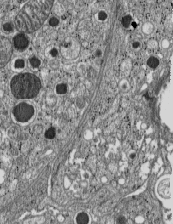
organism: C57BL Mouse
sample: Pancreatic islet